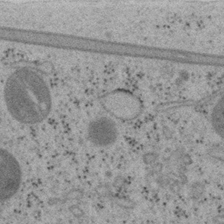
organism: Human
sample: HeLa cells